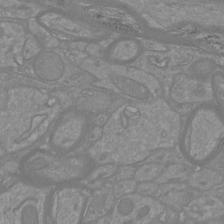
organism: Mouse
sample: Cortical neurons